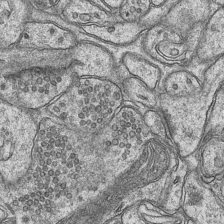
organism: Mouse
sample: CA1 Hippocampus